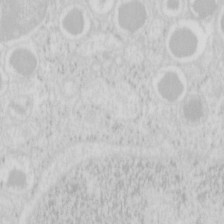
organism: Mouse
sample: Pancreas